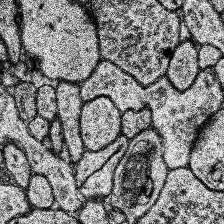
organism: Human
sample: Temporal Lobe